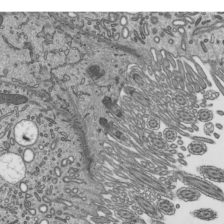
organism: Mouse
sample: Mouse epididymis efferent ductule cilia